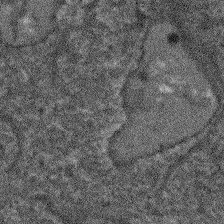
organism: Arabidopsis thaliana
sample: Root tip